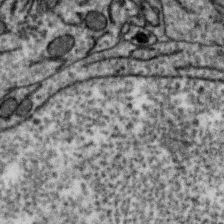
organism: Zebra finch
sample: Brain